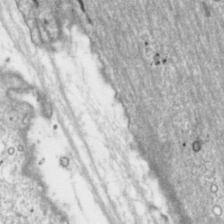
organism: Toxoplasma gondii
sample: Parasites in a vacuole inside a host cell